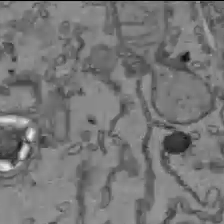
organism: C57BL Mouse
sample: Liver